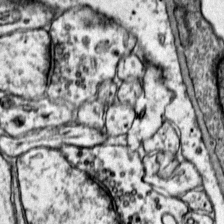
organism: Mouse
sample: Primary visual cortex